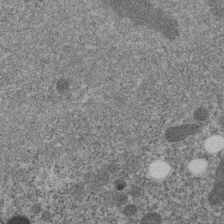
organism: C. elegans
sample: C. elegans embryo early stage